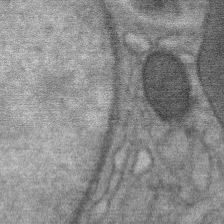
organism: Mouse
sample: Mouse Salivary gland